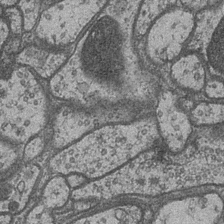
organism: Drosophila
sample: Optic medulla